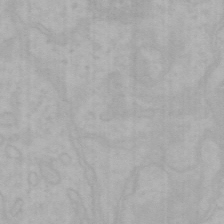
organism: Mouse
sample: Choroid plexus